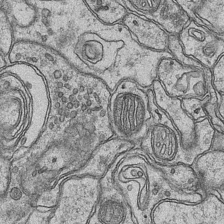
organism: Mouse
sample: CA1 Hippocampus